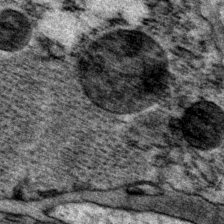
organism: P. pacificus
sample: Pharynx